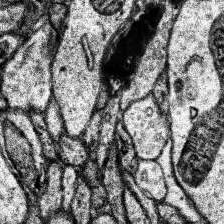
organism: Human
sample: Temporal Lobe